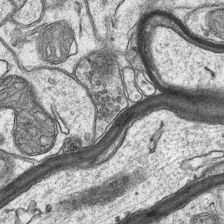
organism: Mouse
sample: CA1 Hippocampus